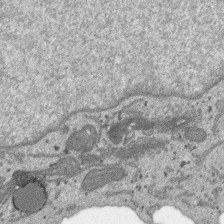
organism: Human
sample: Lung epithelial cells infected with SARS-CoV-2